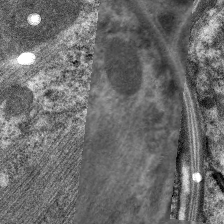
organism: C. elegans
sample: Pharynx